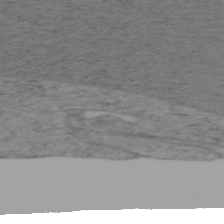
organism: Mouse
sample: OT-I killer T cells with ID8 ovarian cancer cells